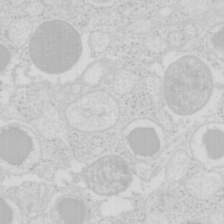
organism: Mouse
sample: Pancreas